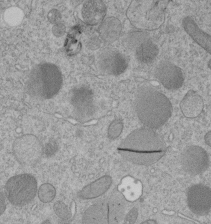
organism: C. elegans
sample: C. elegans embryo early stage